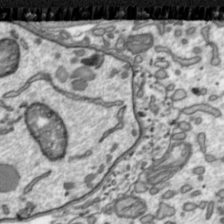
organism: Toxoplasma gondii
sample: Parasites in a vacuole inside a host cell